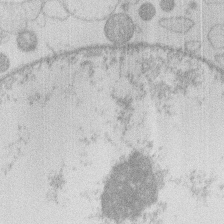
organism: Human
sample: Macrophage cells